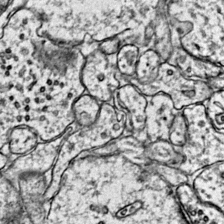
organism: Mouse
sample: Primary visual cortex